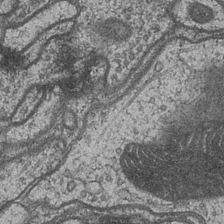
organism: Drosophila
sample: Optic medulla